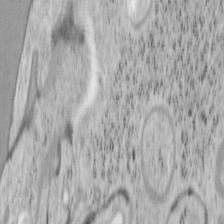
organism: Human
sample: HeLa cells